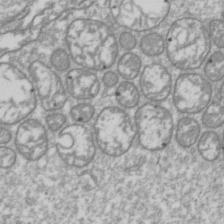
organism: Drosophila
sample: Cell division; meiosis; drosophila spermatocytes